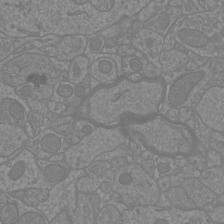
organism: Mouse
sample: Cortical neurons